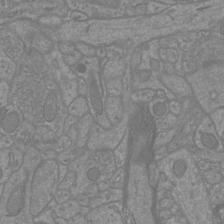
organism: Mouse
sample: Cortical neurons